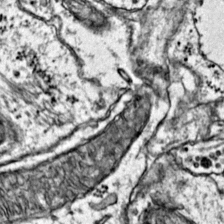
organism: Mouse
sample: Primary visual cortex